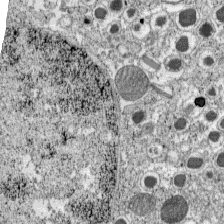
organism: C57BL Mouse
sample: Pancreatic islet